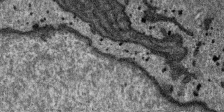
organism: Human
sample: Lung epithelial cells, uninfected (mock) control